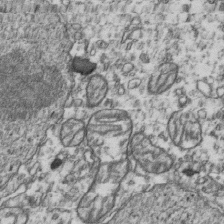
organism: Human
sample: Activated Jurkat CD4+ T cells